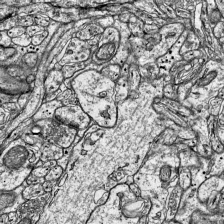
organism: Mouse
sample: Visual Cortex